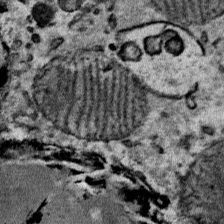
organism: Mouse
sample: Mouse Salivary gland